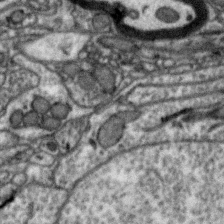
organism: Zebra finch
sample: Brain